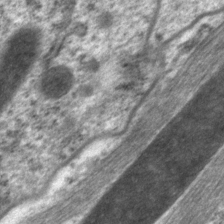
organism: P. pacificus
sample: Pharynx